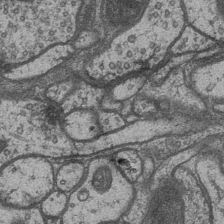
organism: Drosophila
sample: Optic medulla